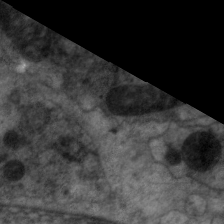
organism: C. elegans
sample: Pharynx